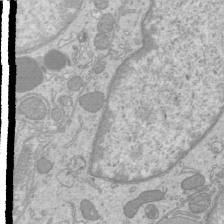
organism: Mouse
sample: Cilia; mouse epididymis